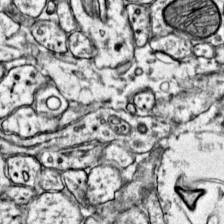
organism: Mouse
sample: Primary visual cortex